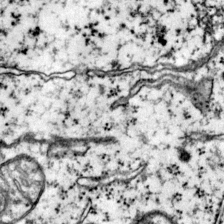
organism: Mouse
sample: Primary visual cortex